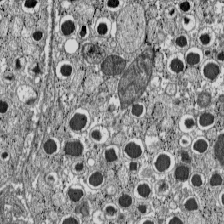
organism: C57BL Mouse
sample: Pancreatic islet